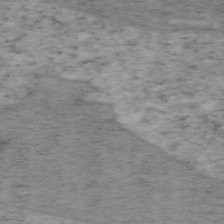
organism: Mouse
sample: OT-I killer T cells with ID8 ovarian cancer cells